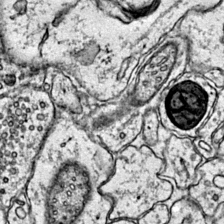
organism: Mouse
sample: Primary visual cortex